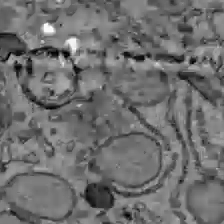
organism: C57BL Mouse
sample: Liver